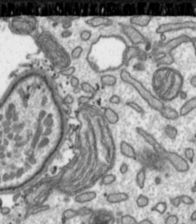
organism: Toxoplasma gondii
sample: Parasites in a vacuole inside a host cell